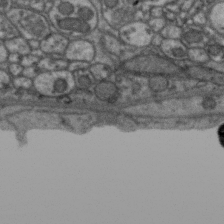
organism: Zebra finch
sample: Brain